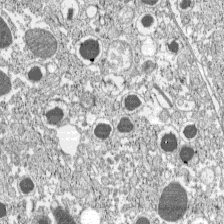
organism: C57BL Mouse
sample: Pancreatic islet